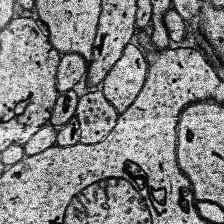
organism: Human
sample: Temporal Lobe